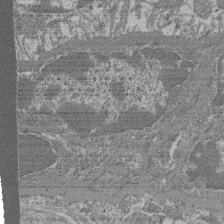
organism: Mouse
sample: Glomerulus